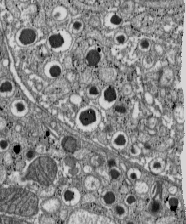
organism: C57BL Mouse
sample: Pancreatic islet